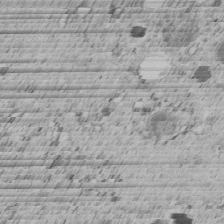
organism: C. elegans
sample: C. elegans embryo early stage